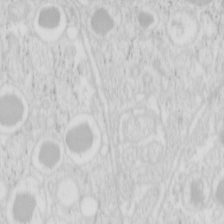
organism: Mouse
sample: Pancreas